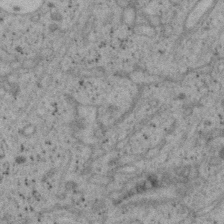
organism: Human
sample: HeLa cells